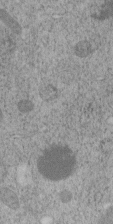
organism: C. elegans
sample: C. elegans embryo early stage